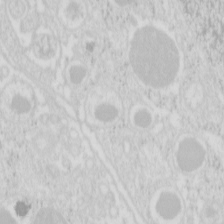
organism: Mouse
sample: Pancreas